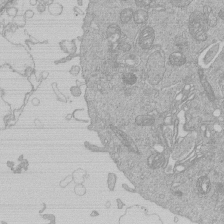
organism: Human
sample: Macrophage cells